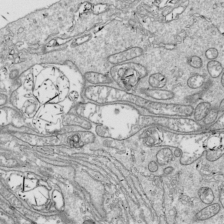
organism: Drosophila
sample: Cell division; meiosis; drosophila spermatocytes